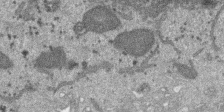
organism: Human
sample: Lung epithelial cells infected with SARS-CoV-2